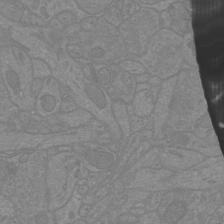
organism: Mouse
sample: Cortical neurons